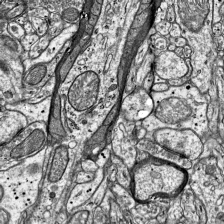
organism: Mouse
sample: Visual Cortex